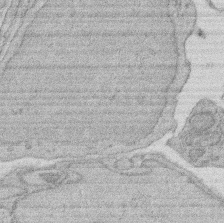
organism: Rat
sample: Salivary granule